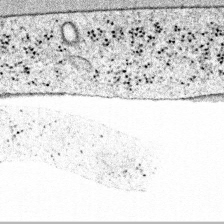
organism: Human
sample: HeLa cells